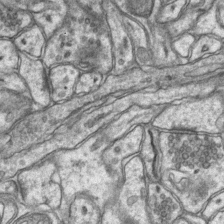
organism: Mouse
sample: CA1 Hippocampus